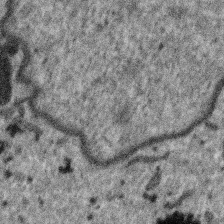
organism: Human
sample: Lung epithelial cells infected with SARS-CoV-2